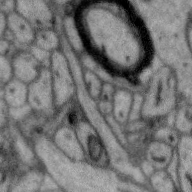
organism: Zebra finch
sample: Brain